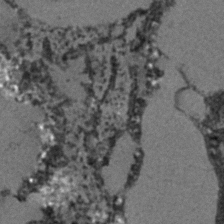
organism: C. elegans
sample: C. elegans embryo